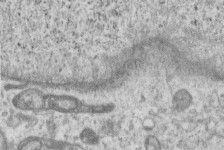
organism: Human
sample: Centriole in RPE cells